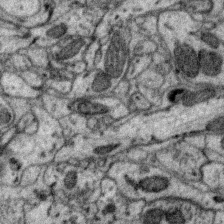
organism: Zebra finch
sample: Brain